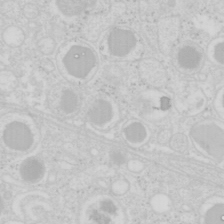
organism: Mouse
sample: Pancreas